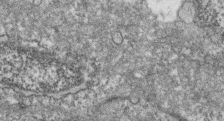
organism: Zebrafish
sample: Cilia; retinal pigment epithelium